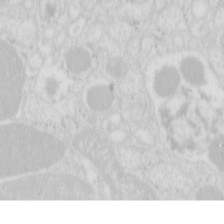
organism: Mouse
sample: Pancreas